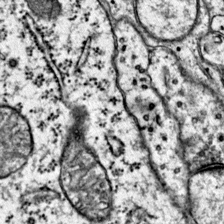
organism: Mouse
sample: Primary visual cortex